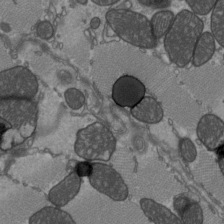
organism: C57BL Mouse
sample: Heart